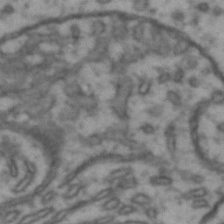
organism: Drosophila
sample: Brain